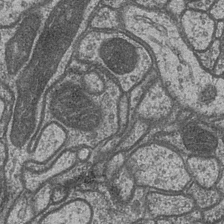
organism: Drosophila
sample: Optic medulla